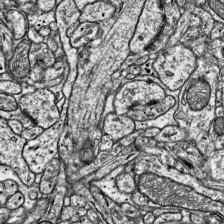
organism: Mouse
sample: Visual Cortex